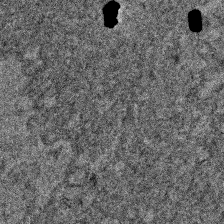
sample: Trachea